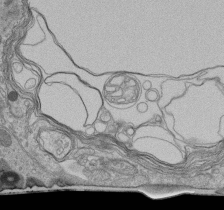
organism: Human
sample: Retinal organoid Rod and Cone cells